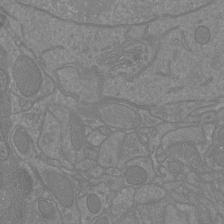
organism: Mouse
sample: Cortical neurons